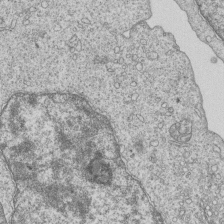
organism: Human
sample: MDA-MB-231 cells